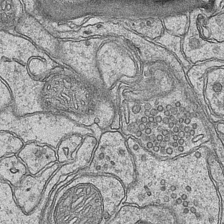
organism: Mouse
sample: CA1 Hippocampus